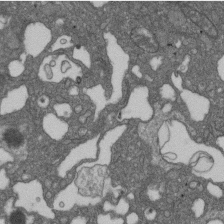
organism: Drosophila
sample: Nephrocyte